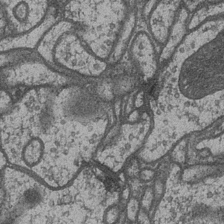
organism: Drosophila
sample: Optic medulla